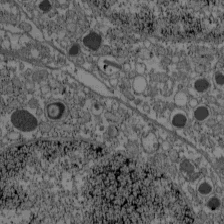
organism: C57BL Mouse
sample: Pancreatic islet